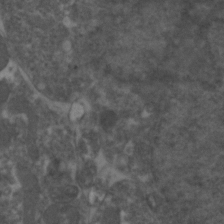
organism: Zebrafish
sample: Zebrafish embryo